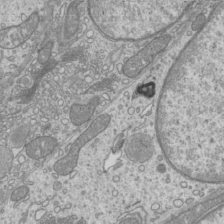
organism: Mouse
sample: Cilia; mouse epididymis